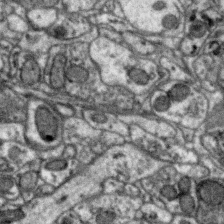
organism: Zebra finch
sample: Brain